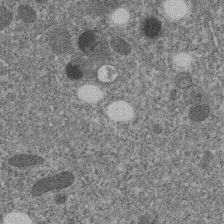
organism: C. elegans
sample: C. elegans embryo early stage